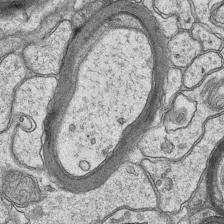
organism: Mouse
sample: CA1 Hippocampus